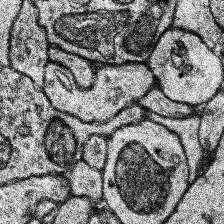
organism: Human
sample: Temporal Lobe